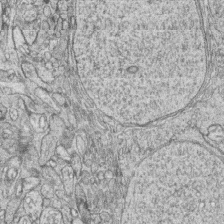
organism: Zebrafish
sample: synaptic ribbons in rod cells and cone cells